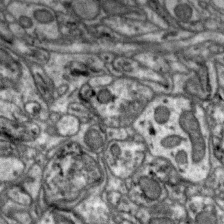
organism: Zebra finch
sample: Brain